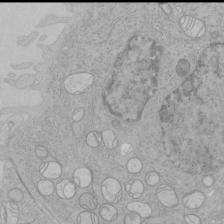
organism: Human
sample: Mitochondria in HCT116 cells